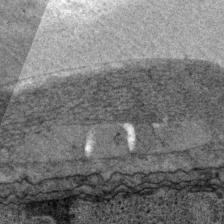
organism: P. pacificus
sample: Pharynx